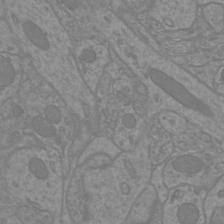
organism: Mouse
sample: Cortical neurons